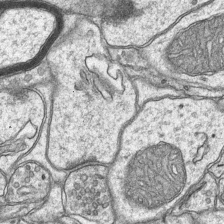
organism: Mouse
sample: CA1 Hippocampus